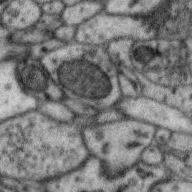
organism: Zebra finch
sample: Brain